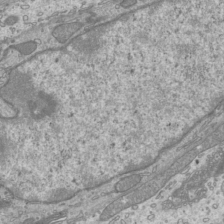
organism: Mouse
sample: Cilia; mouse epididymis